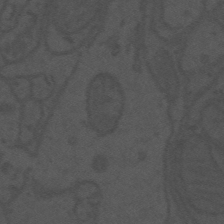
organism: Mouse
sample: Suprachiasmatic nucleus